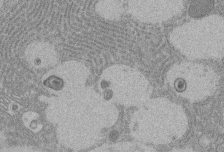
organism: Rat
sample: Salivary granule